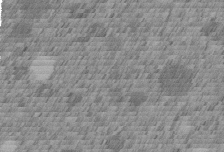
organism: C. elegans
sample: C. elegans embryo early stage